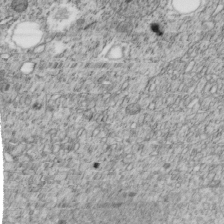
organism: C. elegans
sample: C. elegans embryo early stage